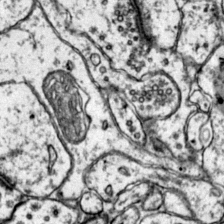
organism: Mouse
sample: Primary visual cortex